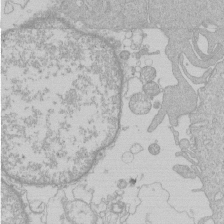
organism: Human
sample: Macrophage cells